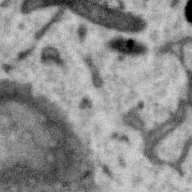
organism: Zebra finch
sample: Brain